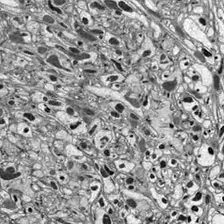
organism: Drosophila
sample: Optic lobe